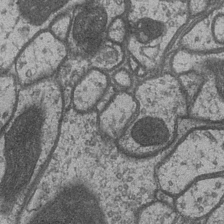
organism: Drosophila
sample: Optic medulla